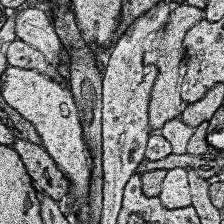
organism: Human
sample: Temporal Lobe